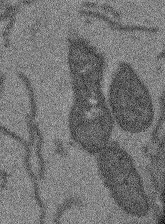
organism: Arabidopsis thaliana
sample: Root tip